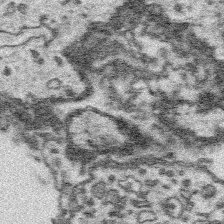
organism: Platynereis dumerilii